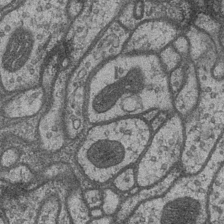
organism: Drosophila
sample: Optic medulla